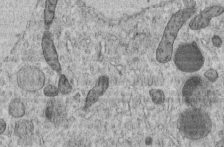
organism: C. elegans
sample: C. elegans embryo early stage